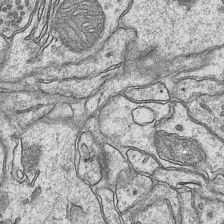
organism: Mouse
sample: CA1 Hippocampus